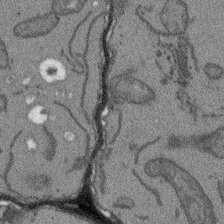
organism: Arabidopsis thaliana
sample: Root tip